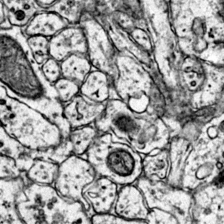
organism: Mouse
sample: Primary visual cortex